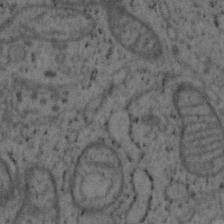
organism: Human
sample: HeLa cells